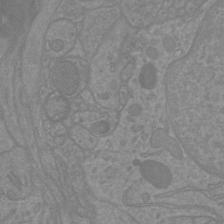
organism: Mouse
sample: Cortical neurons